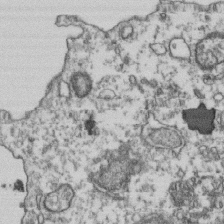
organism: Human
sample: Activated Jurkat CD4+ T cells